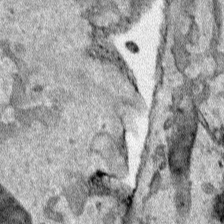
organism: Human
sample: Mitochondria in HCT116 cells